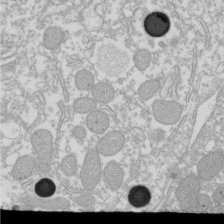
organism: Xenopus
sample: Cilia; centrioles in frog embryo cells